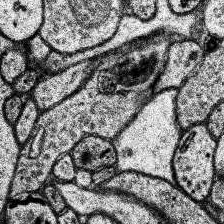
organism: Human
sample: Temporal Lobe